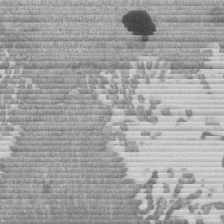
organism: Mouse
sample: Dividing mouse embryo 1 cell stage